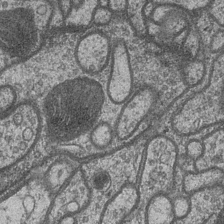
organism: Drosophila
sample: Optic medulla